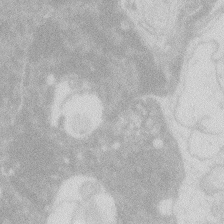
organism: Zebrafish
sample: Macrophage